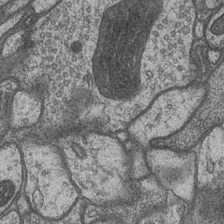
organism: Drosophila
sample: Optic medulla